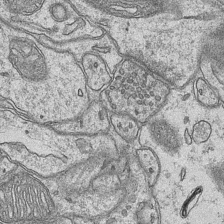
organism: Mouse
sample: CA1 Hippocampus